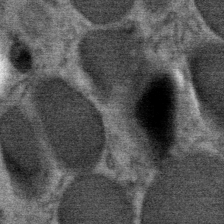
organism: Mouse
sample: Mouse Salivary gland